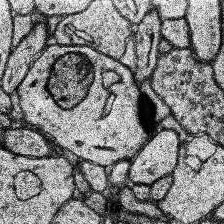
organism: Human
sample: Temporal Lobe